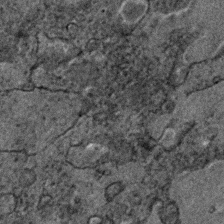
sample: Trachea